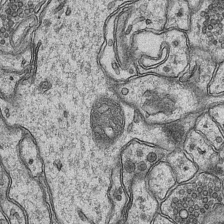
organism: Mouse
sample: CA1 Hippocampus